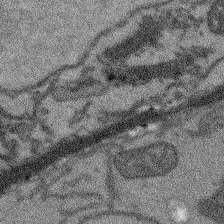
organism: Arabidopsis thaliana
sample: Root tip